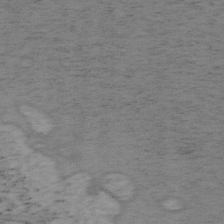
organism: Mouse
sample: OT-I killer T cells with ID8 ovarian cancer cells